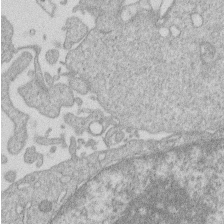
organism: Human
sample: Macrophage cells